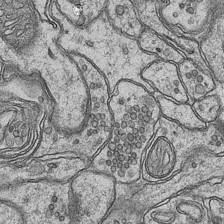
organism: Mouse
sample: CA1 Hippocampus